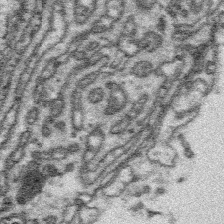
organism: Platynereis dumerilii